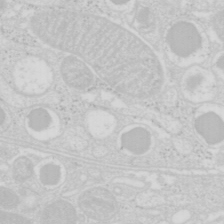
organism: Mouse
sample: Pancreas